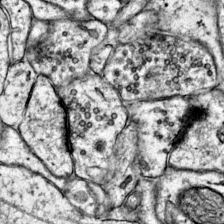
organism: Mouse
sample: Primary visual cortex